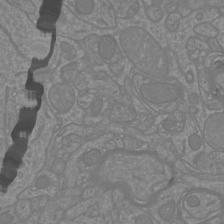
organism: Mouse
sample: Cortical neurons